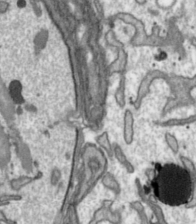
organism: Toxoplasma gondii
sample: Parasites in a vacuole inside a host cell